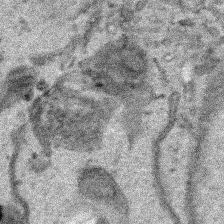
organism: Human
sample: Mitochondria in HCT116 cells